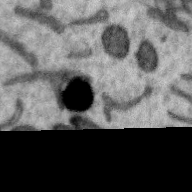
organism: Zebra finch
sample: Brain